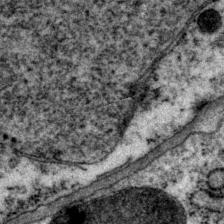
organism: P. pacificus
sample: Pharynx